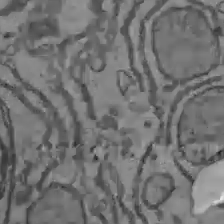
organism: C57BL Mouse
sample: Liver